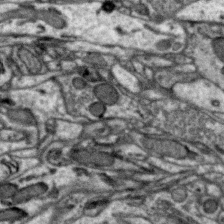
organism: Zebra finch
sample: Brain